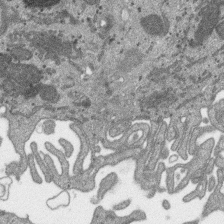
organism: Human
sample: Lung epithelial cells infected with SARS-CoV-2